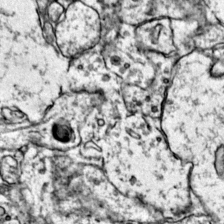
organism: Mouse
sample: Primary visual cortex